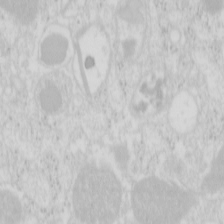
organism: Mouse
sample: Pancreas